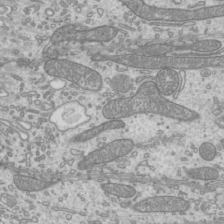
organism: Mouse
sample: Cilia; mouse epididymis